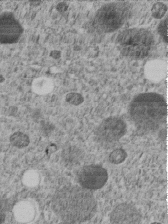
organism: C. elegans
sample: C. elegans embryo early stage